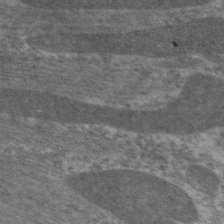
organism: C. elegans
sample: Pharynx